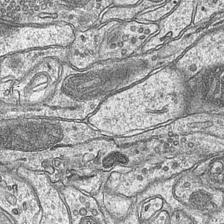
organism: Mouse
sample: CA1 Hippocampus